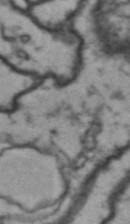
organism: Drosophila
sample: Brain